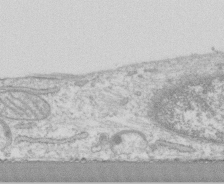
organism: Human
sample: CRL-1474